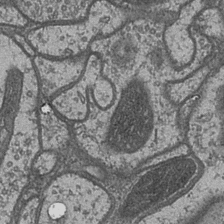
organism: Drosophila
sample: Optic medulla